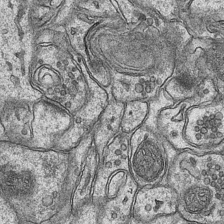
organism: Mouse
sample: CA1 Hippocampus